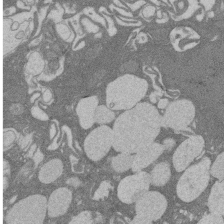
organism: Rat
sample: Salivary granule